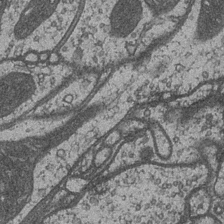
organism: Drosophila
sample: Optic medulla